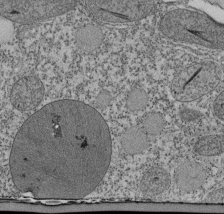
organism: Tetrahymena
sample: Cilia in tetrahymena